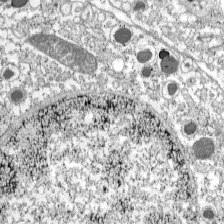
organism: C57BL Mouse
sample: Pancreatic islet